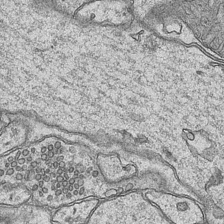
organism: Mouse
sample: CA1 Hippocampus